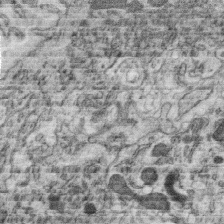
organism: C. elegans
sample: C. elegans oocyte; sperm cells